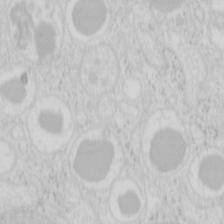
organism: Mouse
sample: Pancreas